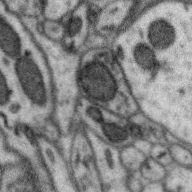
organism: Zebra finch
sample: Brain